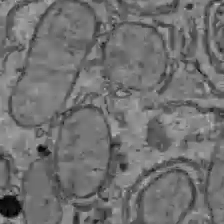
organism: C57BL Mouse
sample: Liver